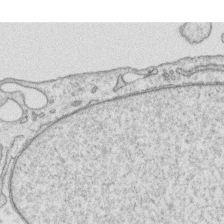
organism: Human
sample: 1205lu cells